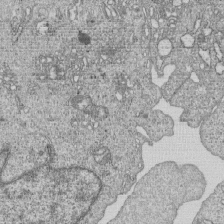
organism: Human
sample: MDA-MB-231 cells